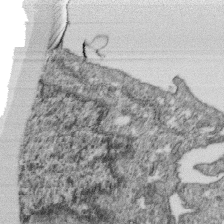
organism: African green monkey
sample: Vero E6 cells infected with SARS-CoV-2